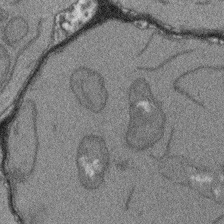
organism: Arabidopsis thaliana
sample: Root tip